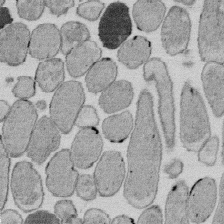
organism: E. coli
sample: Bacterial nucleoid